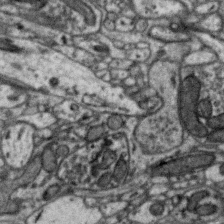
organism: Zebra finch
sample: Brain